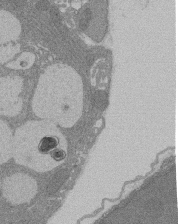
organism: Rat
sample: Salivary granule